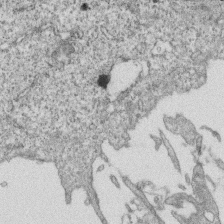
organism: Human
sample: HeLa cell HIV synapse